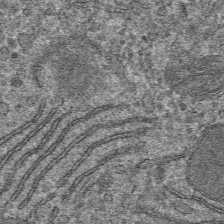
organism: Mouse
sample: Mouse hepatocytes